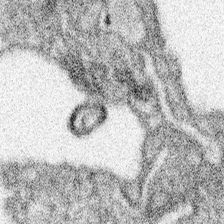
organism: Spongilla lacustris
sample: Neuroid cell